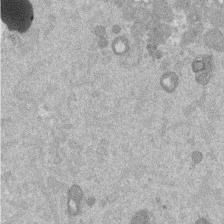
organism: Mouse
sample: Dividing mouse embryo 1 cell stage